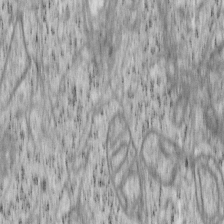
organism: Human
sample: HeLa cells